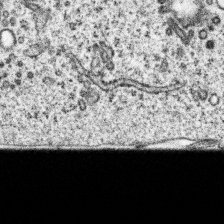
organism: Human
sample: HeLa cells